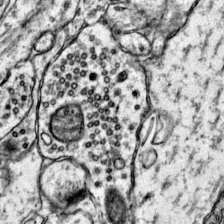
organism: Mouse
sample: Primary visual cortex